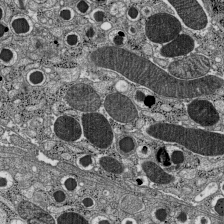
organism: C57BL Mouse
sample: Pancreatic islet